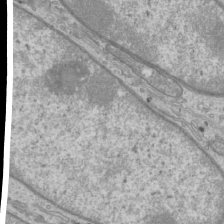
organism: Mouse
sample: Cilia; mouse epididymis